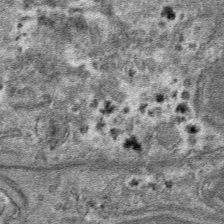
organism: Mouse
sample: Mouse hepatocytes